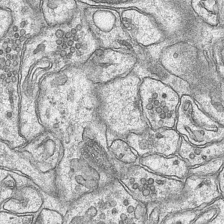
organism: Mouse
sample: CA1 Hippocampus